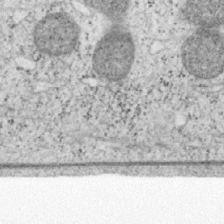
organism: Mouse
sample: OT-I killer T cells with ID8 ovarian cancer cells